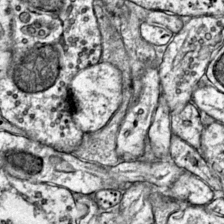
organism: Mouse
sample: Primary visual cortex